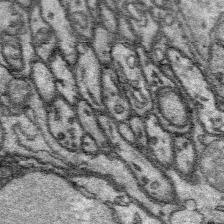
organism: Platynereis dumerilii